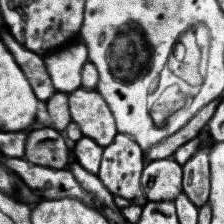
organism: Human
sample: Temporal Lobe